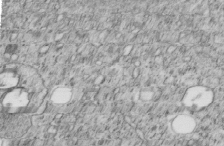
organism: C. elegans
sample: C. elegans embryo early stage